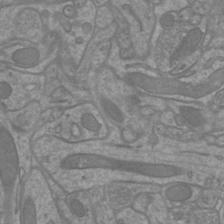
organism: Mouse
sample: Cortical neurons